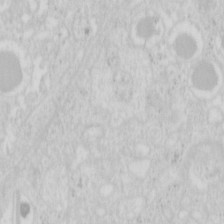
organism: Mouse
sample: Pancreas